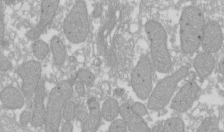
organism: Xenopus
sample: Cilia; centrioles in frog embryo cells